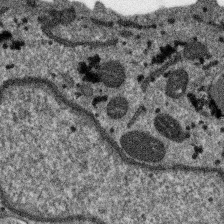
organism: Human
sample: Lung epithelial cells infected with SARS-CoV-2